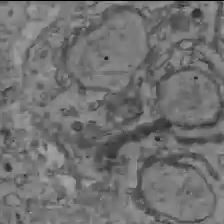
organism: C57BL Mouse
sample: Liver